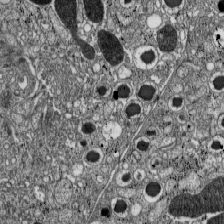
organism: C57BL Mouse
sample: Pancreatic islet